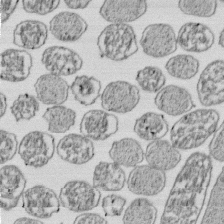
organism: E. coli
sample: Bacterial nucleoid